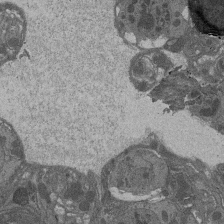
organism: Drosophila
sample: Antenna